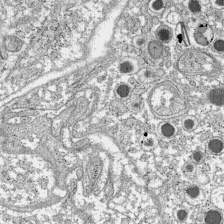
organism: C57BL Mouse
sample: Pancreatic islet